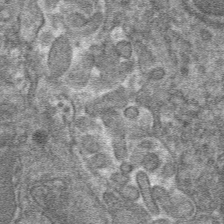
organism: Mouse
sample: Mouse hepatocytes